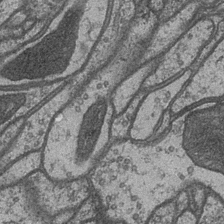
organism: Drosophila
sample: Optic medulla